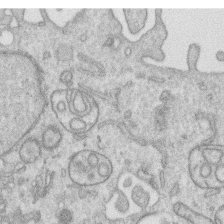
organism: Human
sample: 1205lu cells